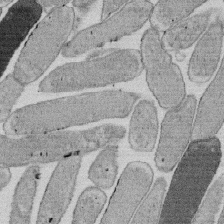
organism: E. coli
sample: Bacterial nucleoid